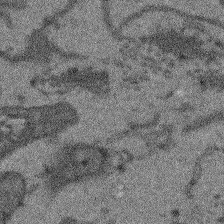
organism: Arabidopsis thaliana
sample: Root tip